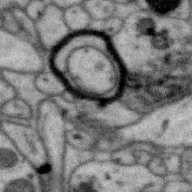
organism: Zebra finch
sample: Brain